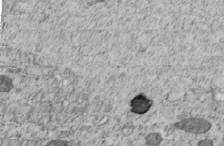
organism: C. elegans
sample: C. elegans embryo early stage